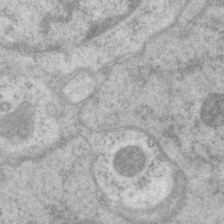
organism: P. pacificus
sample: Pharynx